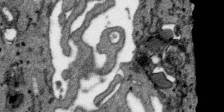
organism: Human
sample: Lung epithelial cells, uninfected (mock) control